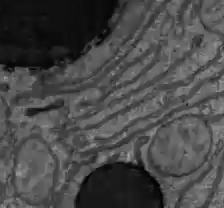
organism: C57BL Mouse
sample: Liver